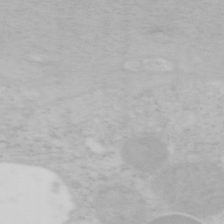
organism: Mouse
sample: OT-I killer T cells with ID8 ovarian cancer cells